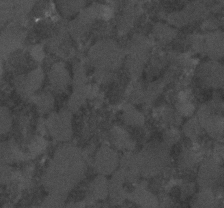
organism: C. elegans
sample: C. elegans embryo